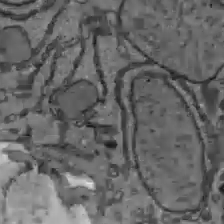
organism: C57BL Mouse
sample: Liver